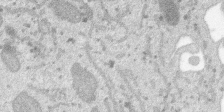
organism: Human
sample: Lung epithelial cells infected with SARS-CoV-2